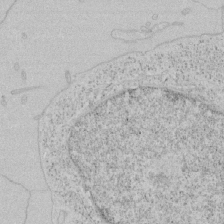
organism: Human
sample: Mitochondria in HCT116 cells